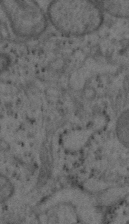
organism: Human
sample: HeLa cells